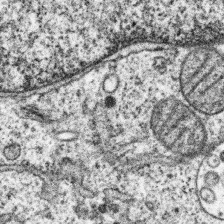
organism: Human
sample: HeLa cells